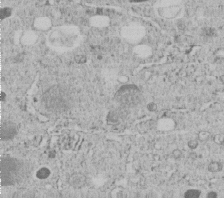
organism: C. elegans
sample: C. elegans embryo early stage